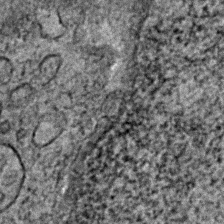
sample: Trachea